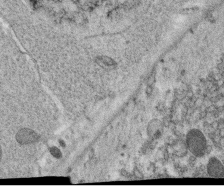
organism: C. elegans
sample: C. elegans oocyte; sperm cells